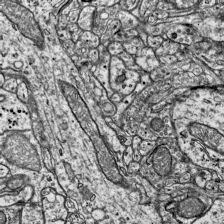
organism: Mouse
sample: Visual Cortex